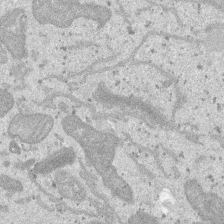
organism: Human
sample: Lung epithelial cells infected with SARS-CoV-2